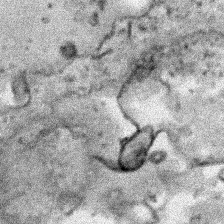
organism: Human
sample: Mitochondria in HCT116 cells